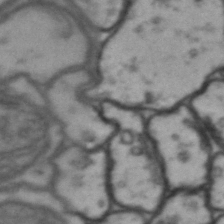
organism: Drosophila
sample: Brain